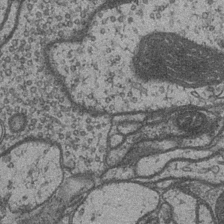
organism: Drosophila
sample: Optic medulla